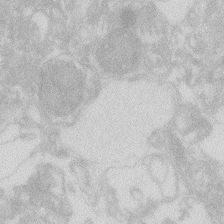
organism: Zebrafish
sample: Macrophage